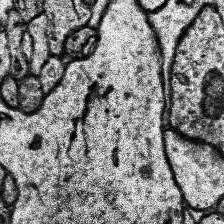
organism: Human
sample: Temporal Lobe